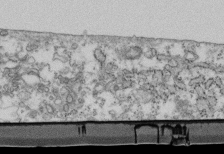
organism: Mouse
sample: Cilia; retinal pigment epithelium